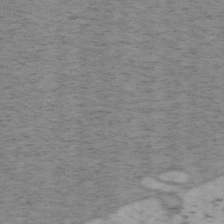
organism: Mouse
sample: OT-I killer T cells with ID8 ovarian cancer cells